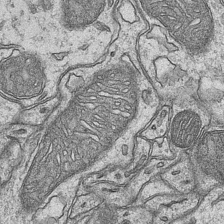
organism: Mouse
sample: CA1 Hippocampus